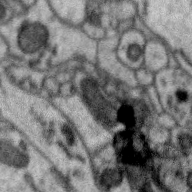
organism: Zebra finch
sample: Brain